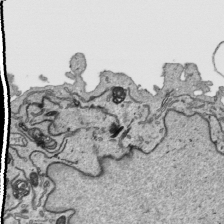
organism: Human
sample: Mitochondria in HCT116 cells